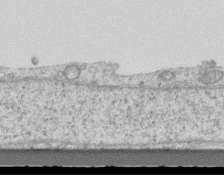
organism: Mouse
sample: Centriole in ependymal cells